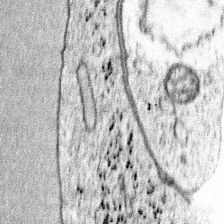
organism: Human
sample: HeLa cells